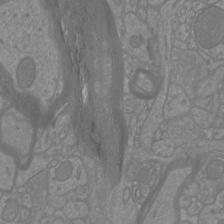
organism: Mouse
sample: Cortical neurons